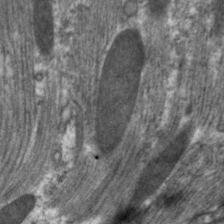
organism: C. elegans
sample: Pharynx